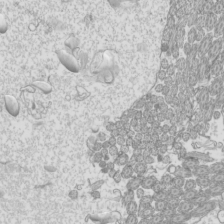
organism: Mouse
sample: Cilia; mouse epididymis